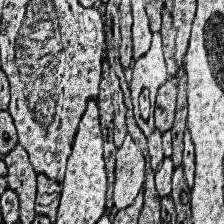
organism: Human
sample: Temporal Lobe